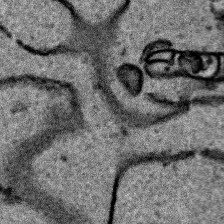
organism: Human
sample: Mitochondria in HCT116 cells